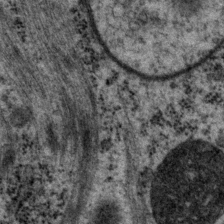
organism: P. pacificus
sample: Pharynx